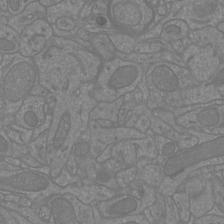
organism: Mouse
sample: Cortical neurons